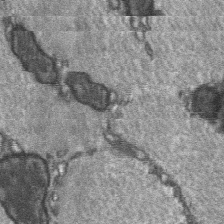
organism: C57BL Mouse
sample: Soleus